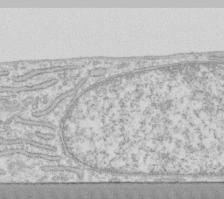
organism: Human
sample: Fibroblast cells